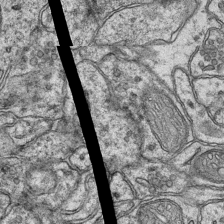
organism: Mouse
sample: CA1 Hippocampus